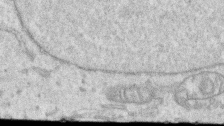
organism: Human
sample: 1205lu cells